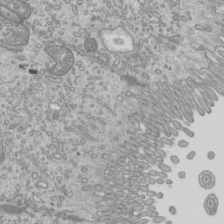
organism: Mouse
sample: Cilia; mouse epididymis